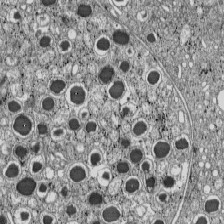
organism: C57BL Mouse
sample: Pancreatic islet